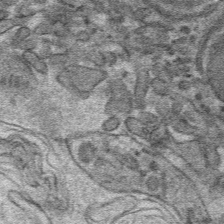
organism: Mouse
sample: Mouse hepatocytes